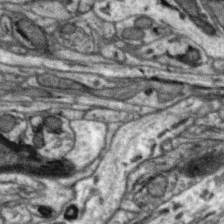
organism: Zebra finch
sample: Brain